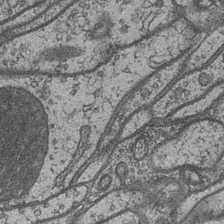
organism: Drosophila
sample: Optic medulla